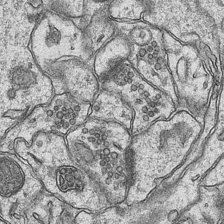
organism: Mouse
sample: CA1 Hippocampus